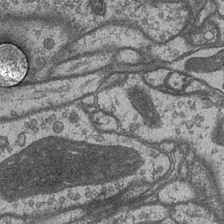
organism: Drosophila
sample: Optic medulla